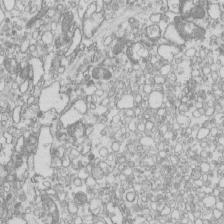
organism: Mouse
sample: Macrophages